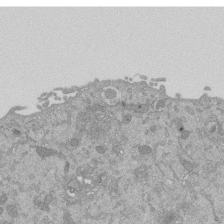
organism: Mouse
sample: ED-1 cell nuclei; centrioles